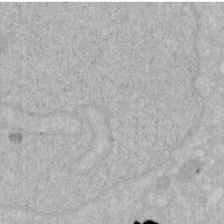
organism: Human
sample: HIV infected U937 cells